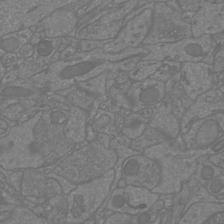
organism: Mouse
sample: Cortical neurons